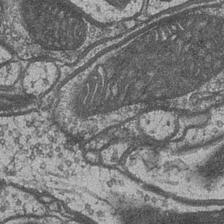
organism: Drosophila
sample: Optic medulla